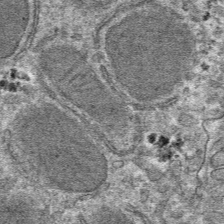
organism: Mouse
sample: Mouse hepatocytes